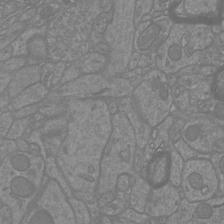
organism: Mouse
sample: Cortical neurons